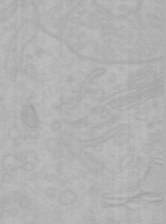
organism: Mouse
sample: Choroid plexus